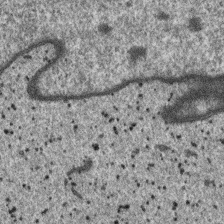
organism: Human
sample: Lung epithelial cells infected with SARS-CoV-2